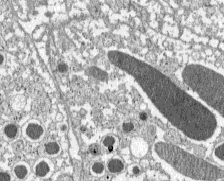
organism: C57BL Mouse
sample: Pancreatic islet